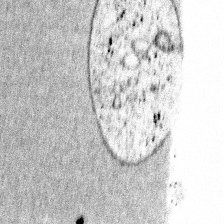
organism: Human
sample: HeLa cells